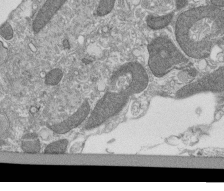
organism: Tetrahymena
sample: Cilia in tetrahymena